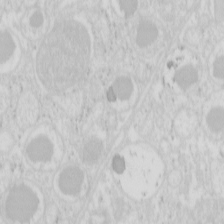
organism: Mouse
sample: Pancreas